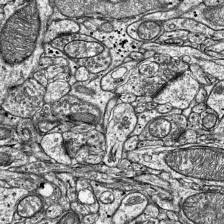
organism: Mouse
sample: Visual Cortex